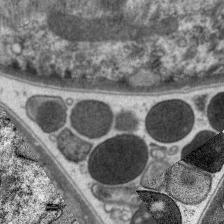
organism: C. elegans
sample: Pharynx